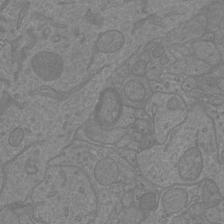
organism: Mouse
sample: Cortical neurons